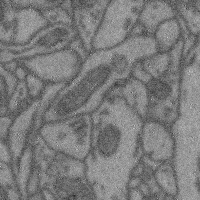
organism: Mouse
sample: Cerebral cortex